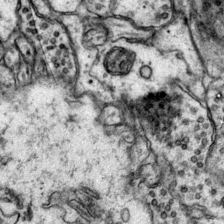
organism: Mouse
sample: Primary visual cortex